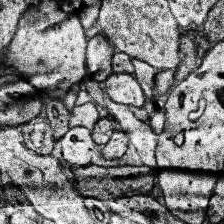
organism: Human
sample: Temporal Lobe